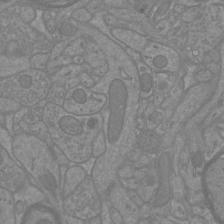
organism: Mouse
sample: Cortical neurons